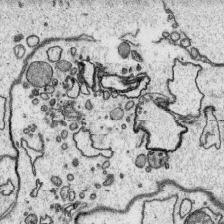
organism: Platynereis dumerilii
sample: Parapodia